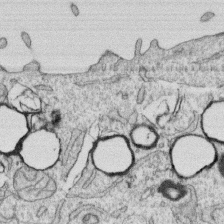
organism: Human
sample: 1205lu cells